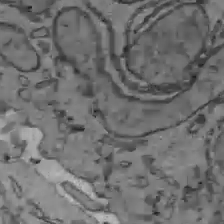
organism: C57BL Mouse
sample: Liver